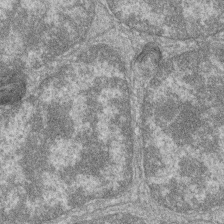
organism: Zebrafish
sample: Cilia; retinal pigment epithelium